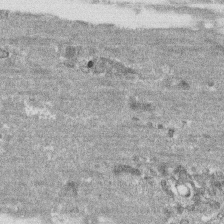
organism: Human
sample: CRL-1474